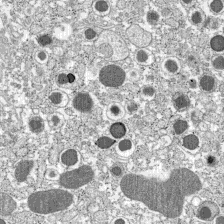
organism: C57BL Mouse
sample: Pancreatic islet